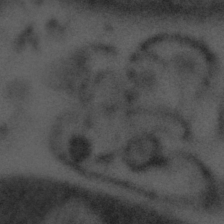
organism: Tuwongella immobilis